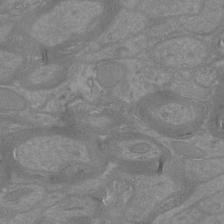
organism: Mouse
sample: Cortical neurons